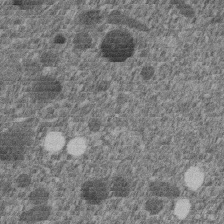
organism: C. elegans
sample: C. elegans embryo early stage